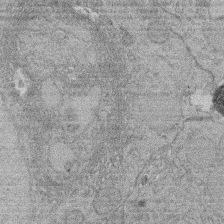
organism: Rat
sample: Salivary granule